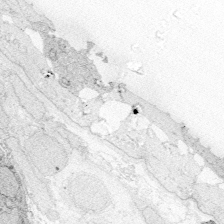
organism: Zebrafish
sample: Whole-Brain